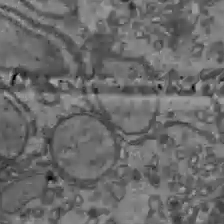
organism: C57BL Mouse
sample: Liver